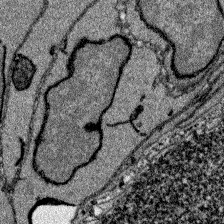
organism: Zebrafish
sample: Larval olfactory bulb